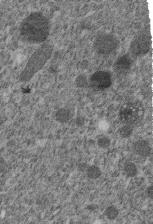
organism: C. elegans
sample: C. elegans embryo early stage